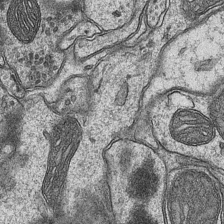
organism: Mouse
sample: CA1 Hippocampus